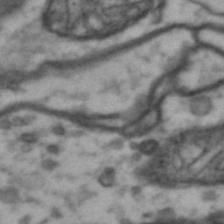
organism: Drosophila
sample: Brain